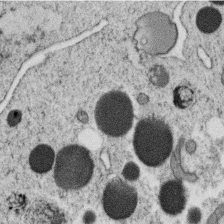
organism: C. elegans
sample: C. elegans oocyte; sperm cells